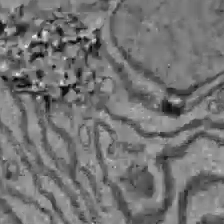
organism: C57BL Mouse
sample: Liver